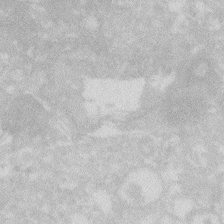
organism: Zebrafish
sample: Macrophage